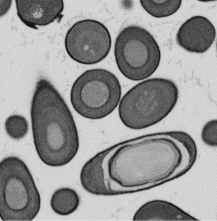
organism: B. subtilis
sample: Bacterial spore